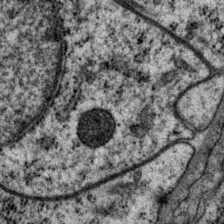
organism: P. pacificus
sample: Pharynx